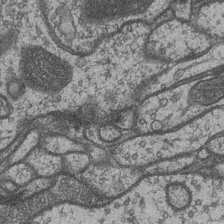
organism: Drosophila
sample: Optic medulla